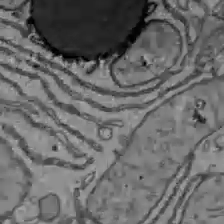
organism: C57BL Mouse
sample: Liver